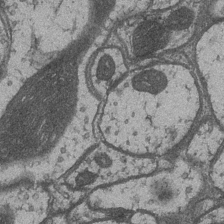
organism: Drosophila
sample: Optic medulla